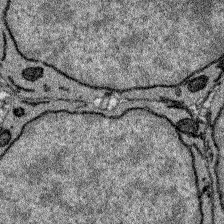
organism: Zebrafish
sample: Larval olfactory bulb